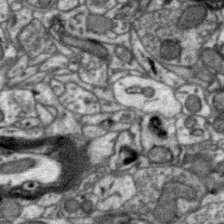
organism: Zebra finch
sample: Brain